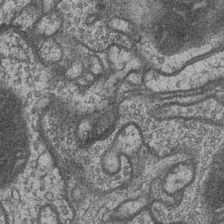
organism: Drosophila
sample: Optic medulla